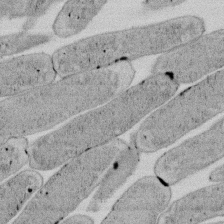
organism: E. coli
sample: Bacterial nucleoid